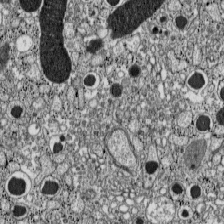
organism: C57BL Mouse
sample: Pancreatic islet